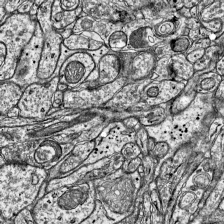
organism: Mouse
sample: Visual Cortex